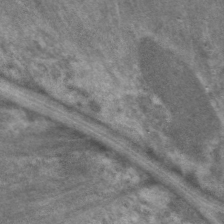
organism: C. elegans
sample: Pharynx